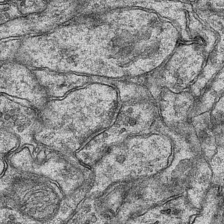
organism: Mouse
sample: CA1 Hippocampus